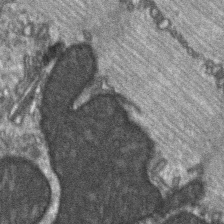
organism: C57BL Mouse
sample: Soleus